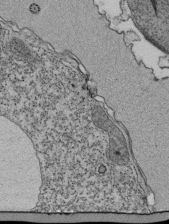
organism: Tetrahymena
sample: Cilia in tetrahymena